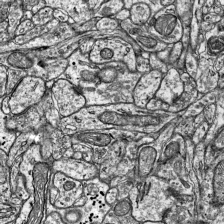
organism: Mouse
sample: Visual Cortex